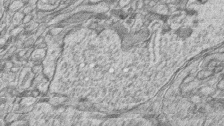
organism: Zebrafish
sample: synaptic ribbons in rod cells and cone cells